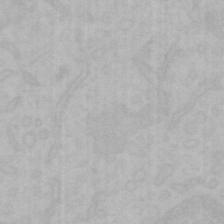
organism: Mouse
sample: Choroid plexus